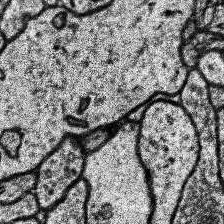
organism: Human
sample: Temporal Lobe